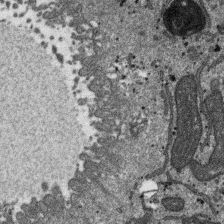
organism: Human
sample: Lung epithelial cells infected with SARS-CoV-2